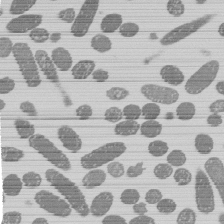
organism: E. coli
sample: Bacterial nucleoid